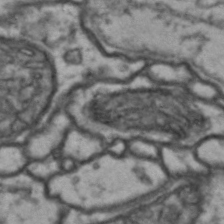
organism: Drosophila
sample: Brain